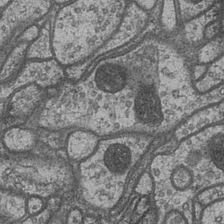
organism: Drosophila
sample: Optic medulla